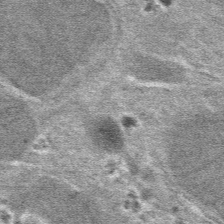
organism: Mouse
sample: Mouse hepatocytes